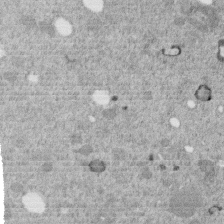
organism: C. elegans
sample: C. elegans embryo early stage